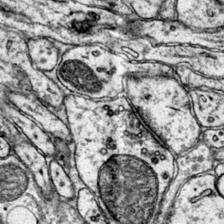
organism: Mouse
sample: Primary visual cortex